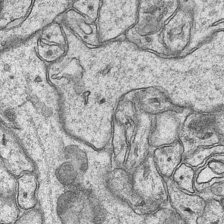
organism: Mouse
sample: CA1 Hippocampus